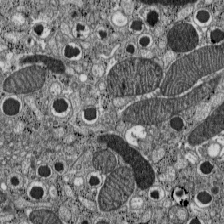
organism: C57BL Mouse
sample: Pancreatic islet